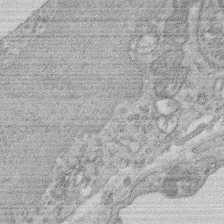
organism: Rat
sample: Salivary granule